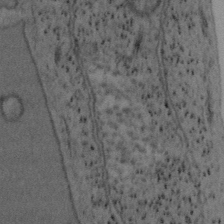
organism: Human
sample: HeLa cells